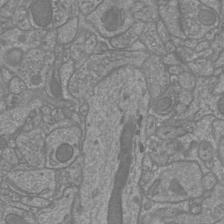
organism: Mouse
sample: Cortical neurons